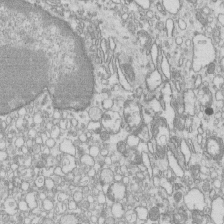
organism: Mouse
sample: Macrophages